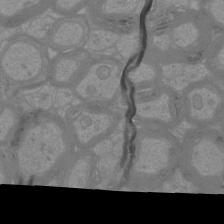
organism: Mouse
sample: Cortical neurons